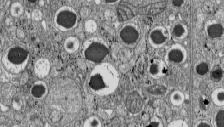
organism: C57BL Mouse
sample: Pancreatic islet